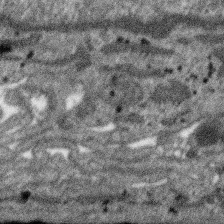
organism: Human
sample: Lung epithelial cells infected with SARS-CoV-2